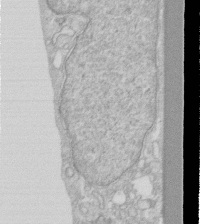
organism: Human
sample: Fibroblast cells